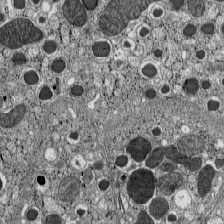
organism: C57BL Mouse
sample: Pancreatic islet